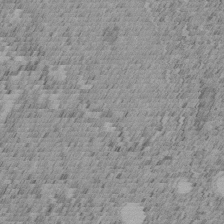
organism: C. elegans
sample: C. elegans embryo early stage